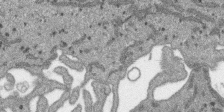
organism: Human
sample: Lung epithelial cells infected with SARS-CoV-2